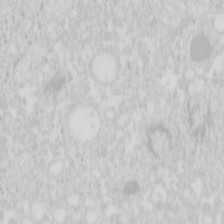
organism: Mouse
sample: Pancreas